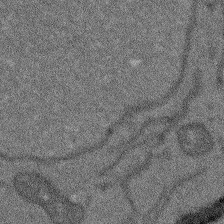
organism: Arabidopsis thaliana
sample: Root tip